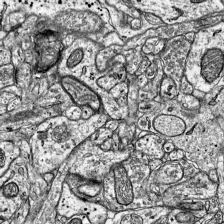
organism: Mouse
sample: Visual Cortex